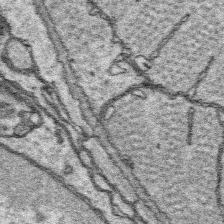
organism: Platynereis dumerilii